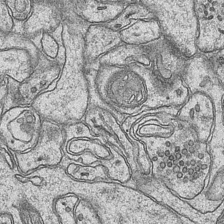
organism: Mouse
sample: CA1 Hippocampus